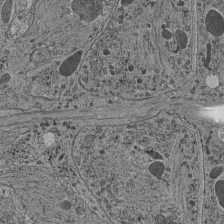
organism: C. elegans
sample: C. elegans pharynx